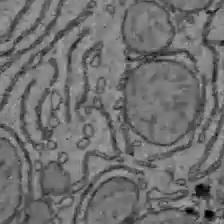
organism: C57BL Mouse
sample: Liver